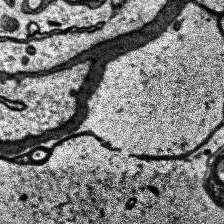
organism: Human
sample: Temporal Lobe